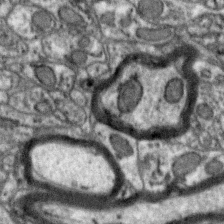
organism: Zebra finch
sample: Brain